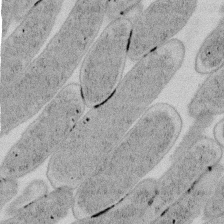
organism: E. coli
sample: Bacterial nucleoid